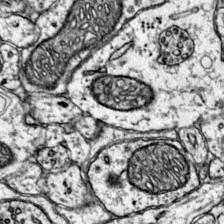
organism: Mouse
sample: Primary visual cortex